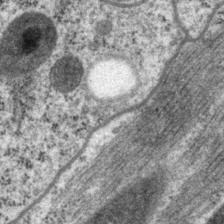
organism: P. pacificus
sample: Pharynx